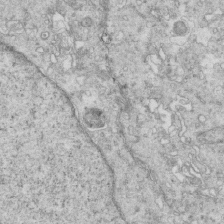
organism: Mouse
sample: Multiciliated cells